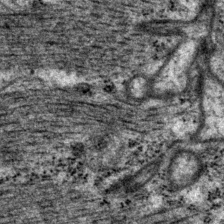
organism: P. pacificus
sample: Pharynx